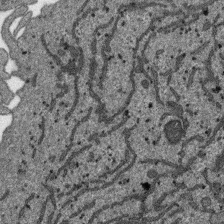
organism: Human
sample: Lung epithelial cells infected with SARS-CoV-2